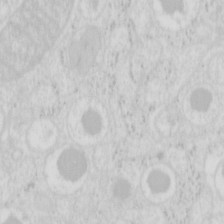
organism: Mouse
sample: Pancreas